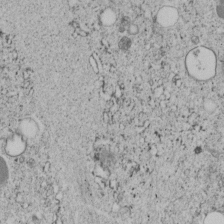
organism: C. elegans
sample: C. elegans embryo early stage